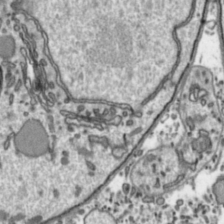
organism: Toxoplasma gondii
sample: Parasites in a vacuole inside a host cell